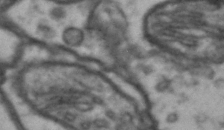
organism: Drosophila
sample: Brain